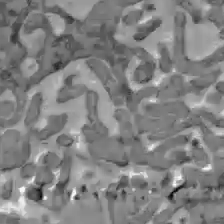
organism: C57BL Mouse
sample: Liver